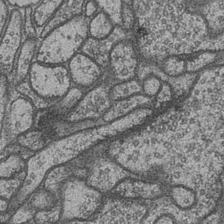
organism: Drosophila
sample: Optic medulla